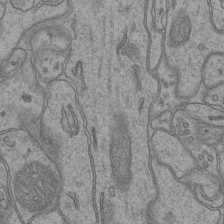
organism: Mouse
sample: CA1 Hippocampus